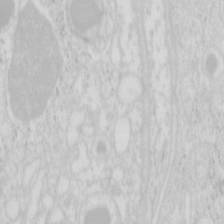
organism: Mouse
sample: Pancreas